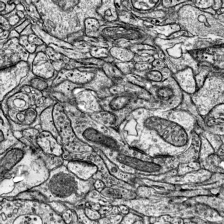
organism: Mouse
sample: Visual Cortex